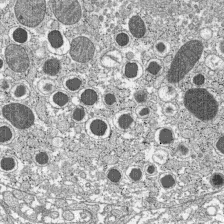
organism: C57BL Mouse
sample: Pancreatic islet